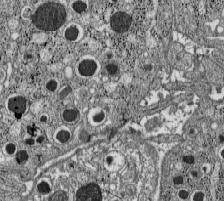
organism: C57BL Mouse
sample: Pancreatic islet